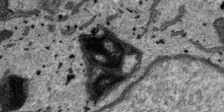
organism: Human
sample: Lung epithelial cells, uninfected (mock) control